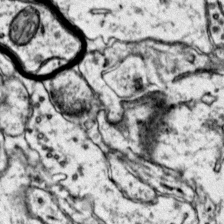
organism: Mouse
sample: Primary visual cortex